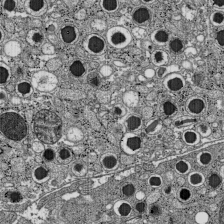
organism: C57BL Mouse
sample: Pancreatic islet